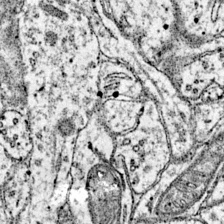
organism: Mouse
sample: Primary visual cortex